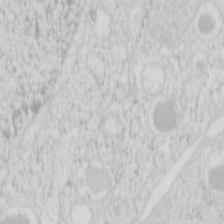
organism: Mouse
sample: Pancreas